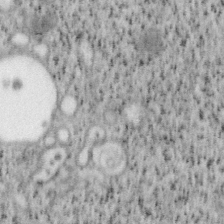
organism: Mouse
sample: OT-I killer T cells with ID8 ovarian cancer cells